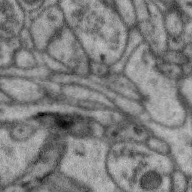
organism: Zebra finch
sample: Brain